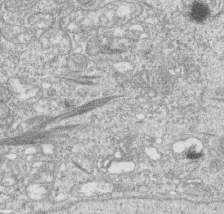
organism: Human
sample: HeLa cell HIV synapse